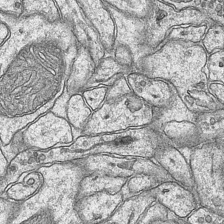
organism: Mouse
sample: CA1 Hippocampus